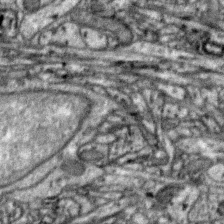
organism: Zebra finch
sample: Brain